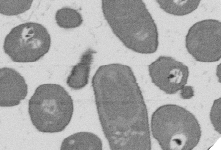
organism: B. subtilis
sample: Bacterial spore